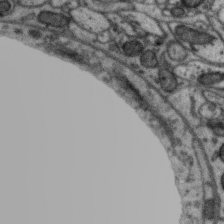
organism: Zebra finch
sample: Brain